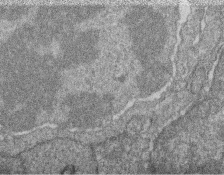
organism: Zebrafish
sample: Cilia; retinal pigment epithelium